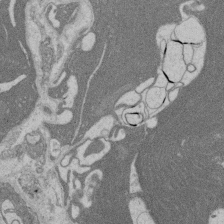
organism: Rat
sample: Salivary granule